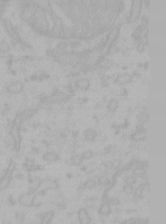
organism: Mouse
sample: Choroid plexus